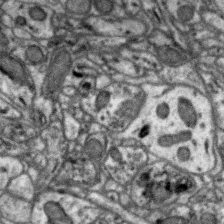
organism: Zebra finch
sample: Brain